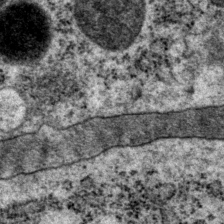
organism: P. pacificus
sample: Pharynx